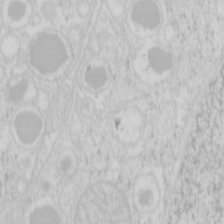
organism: Mouse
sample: Pancreas